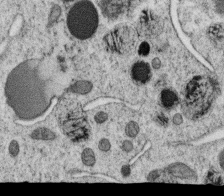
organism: C. elegans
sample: C. elegans oocyte; sperm cells